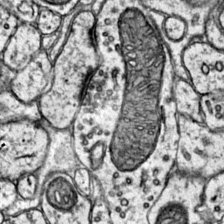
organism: Mouse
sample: Primary visual cortex